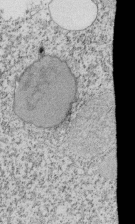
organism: Tetrahymena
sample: Cilia in tetrahymena